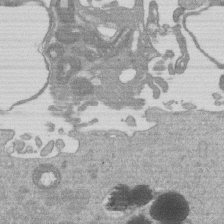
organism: Mouse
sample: Dividing mouse embryo 1 cell stage